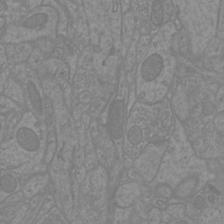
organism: Mouse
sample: Cortical neurons